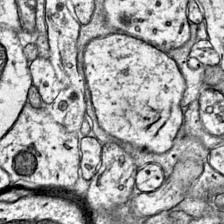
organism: Mouse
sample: Primary visual cortex